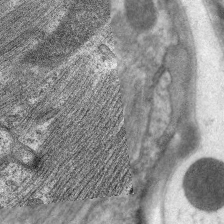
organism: C. elegans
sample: Pharynx